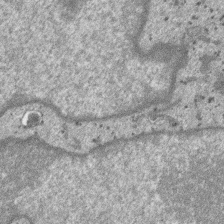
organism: Human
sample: Lung epithelial cells infected with SARS-CoV-2